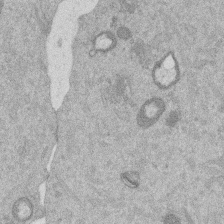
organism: Mouse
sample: Dividing mouse embryo 1 cell stage